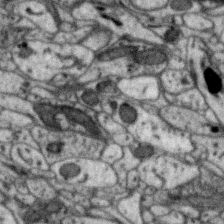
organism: Zebra finch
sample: Brain